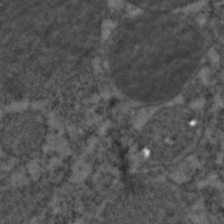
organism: C. elegans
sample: C. elegans embryo